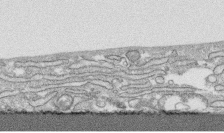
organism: Human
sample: CRL-1474